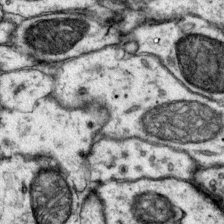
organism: Mouse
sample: Primary visual cortex